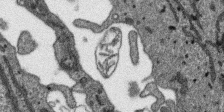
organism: Human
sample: Lung epithelial cells infected with SARS-CoV-2